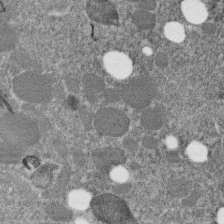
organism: C. elegans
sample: C. elegans embryo early stage